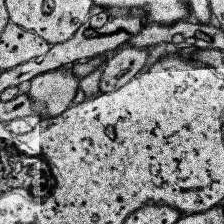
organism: Human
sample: Temporal Lobe